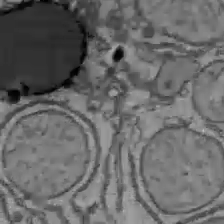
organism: C57BL Mouse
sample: Liver